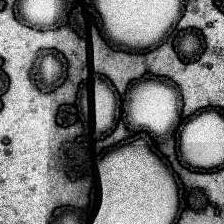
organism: Human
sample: Temporal Lobe